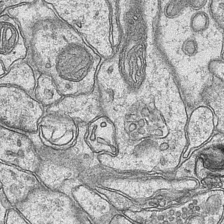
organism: Mouse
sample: CA1 Hippocampus